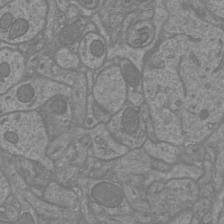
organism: Mouse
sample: Cortical neurons